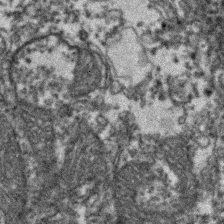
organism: Zebrafish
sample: Zebrafish embryo